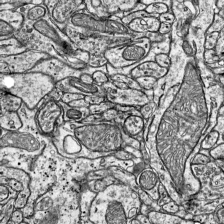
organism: Mouse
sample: Visual Cortex